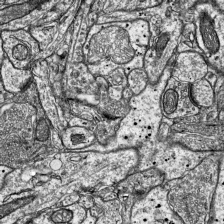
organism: Mouse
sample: Visual Cortex